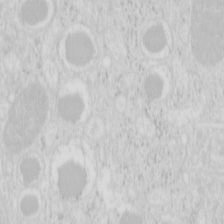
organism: Mouse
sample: Pancreas